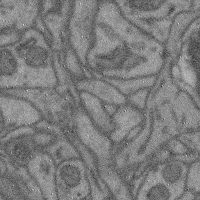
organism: Mouse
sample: Cerebral cortex